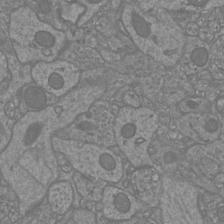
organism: Mouse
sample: Cortical neurons